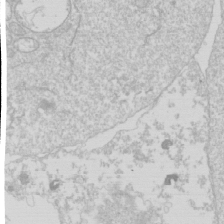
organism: Drosophila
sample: Cell division; meiosis; drosophila spermatocytes